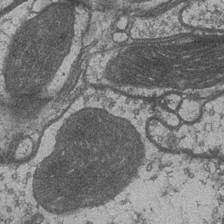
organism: Drosophila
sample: Optic medulla